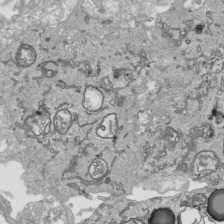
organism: Human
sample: Mitochondria in HCT116 cells